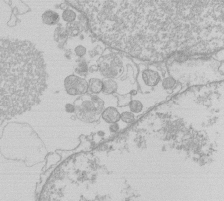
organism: Human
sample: Macrophage cells